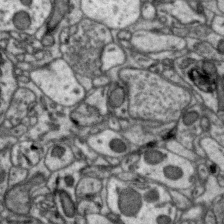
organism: Zebra finch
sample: Brain